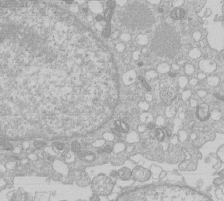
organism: Human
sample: Macrophage cells